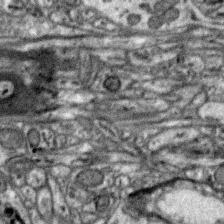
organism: Zebra finch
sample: Brain